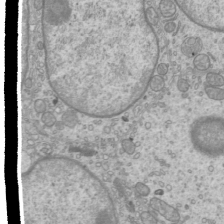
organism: Mouse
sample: Cilia; mouse epididymis